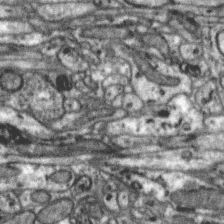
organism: Zebra finch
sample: Brain